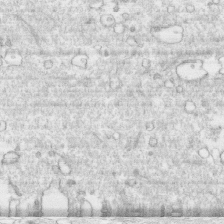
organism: Human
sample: CRL-1474